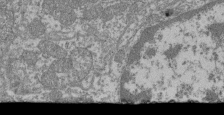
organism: Mouse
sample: Glomerulus